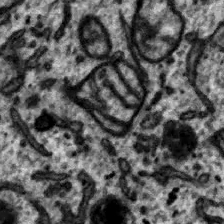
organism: Human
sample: HeLa cells